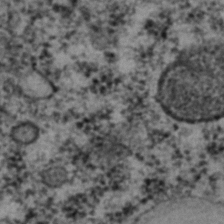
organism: C. elegans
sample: C. elegans embryo